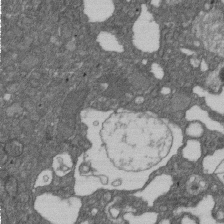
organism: Drosophila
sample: Nephrocyte